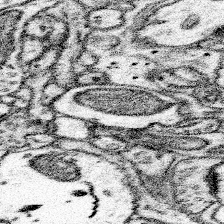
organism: Mouse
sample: Somatosensory cortex neuropil